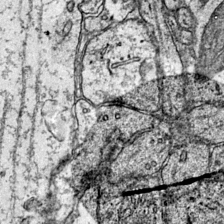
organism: Mouse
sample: Primary visual cortex